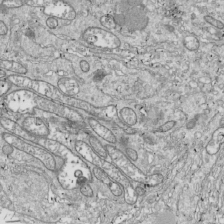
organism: Drosophila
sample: Cell division; meiosis; drosophila spermatocytes